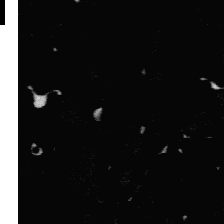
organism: Platynereis dumerilii